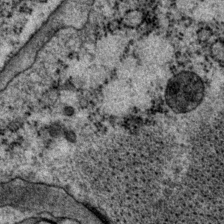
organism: P. pacificus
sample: Pharynx